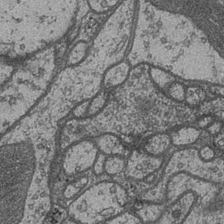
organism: Drosophila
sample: Optic medulla